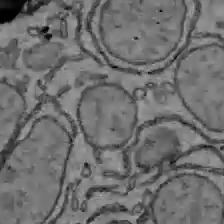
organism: C57BL Mouse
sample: Liver